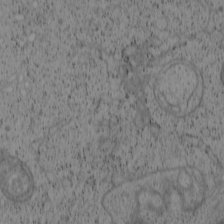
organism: African green monkey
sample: COS-7 cells